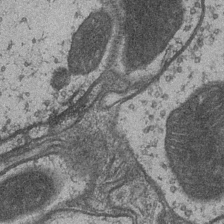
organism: Drosophila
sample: Optic medulla